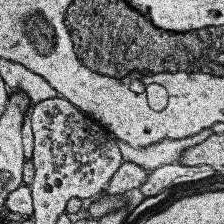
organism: Human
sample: Temporal Lobe